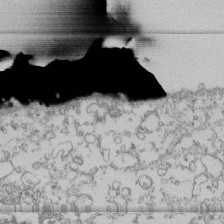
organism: Human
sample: Fibroblast cells